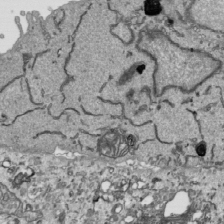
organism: Human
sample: Mitochondria in HCT116 cells